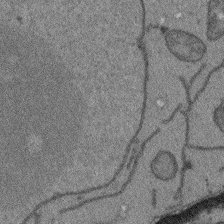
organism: Arabidopsis thaliana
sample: Root tip